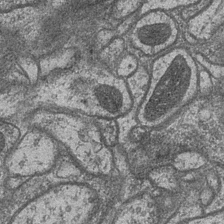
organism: Drosophila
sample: Optic medulla